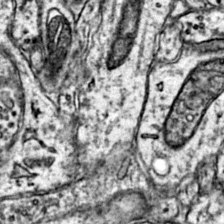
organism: Mouse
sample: Primary visual cortex